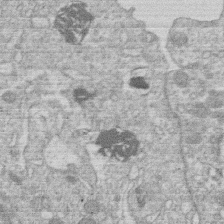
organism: Human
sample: Macrophage cells